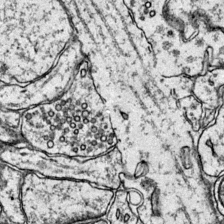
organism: Mouse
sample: Primary visual cortex